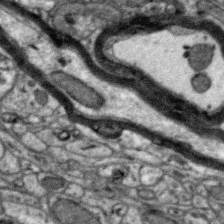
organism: Zebra finch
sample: Brain